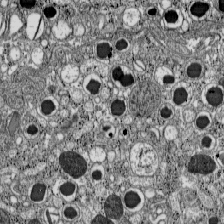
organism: C57BL Mouse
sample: Pancreatic islet